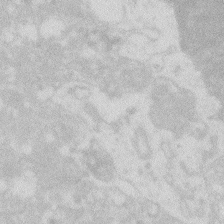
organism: Zebrafish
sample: Macrophage